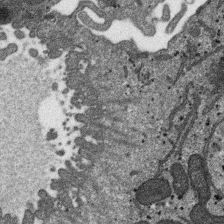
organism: Human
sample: Lung epithelial cells infected with SARS-CoV-2